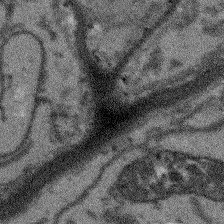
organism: Arabidopsis thaliana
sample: Root tip